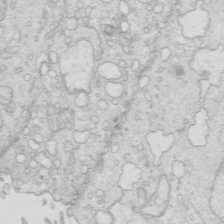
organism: Mouse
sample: Multiciliated cells